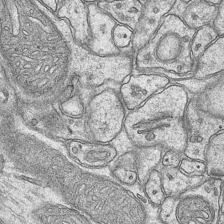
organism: Mouse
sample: CA1 Hippocampus